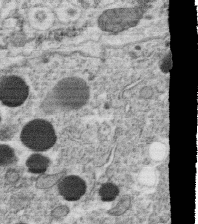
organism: C. elegans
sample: C. elegans oocyte; sperm cells